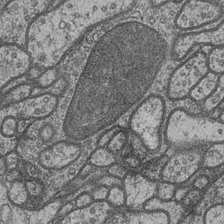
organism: Drosophila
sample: Optic medulla